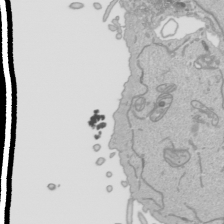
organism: Human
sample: Mitochondria in HCT116 cells